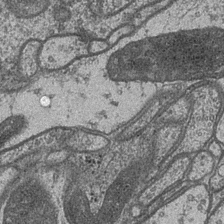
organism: Drosophila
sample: Optic medulla